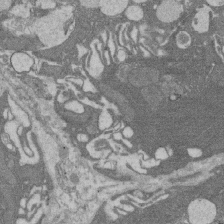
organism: Rat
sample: Salivary granule